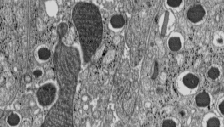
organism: C57BL Mouse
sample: Pancreatic islet